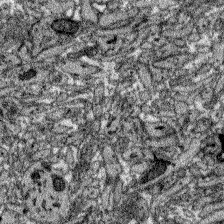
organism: Zebrafish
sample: Larval olfactory bulb